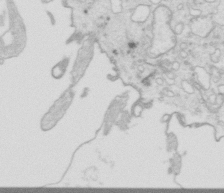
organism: Mouse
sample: Multiciliated cells